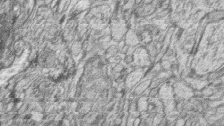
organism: Zebrafish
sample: synaptic ribbons in rod cells and cone cells